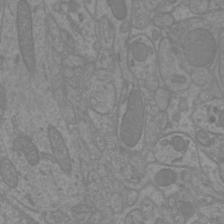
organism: Mouse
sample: Cortical neurons